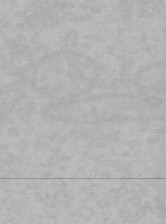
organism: Mouse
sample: Choroid plexus